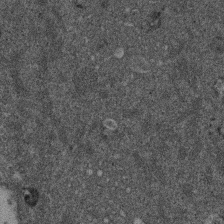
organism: Mouse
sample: Dividing mouse embryo 1 cell stage